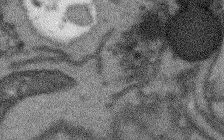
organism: Arabidopsis thaliana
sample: Root tip